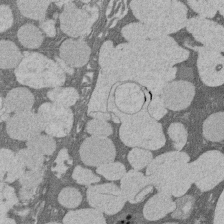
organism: Rat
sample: Salivary granule